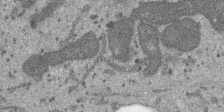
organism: Human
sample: Lung epithelial cells infected with SARS-CoV-2